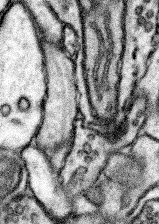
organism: Mouse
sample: Somatosensory cortex neuropil